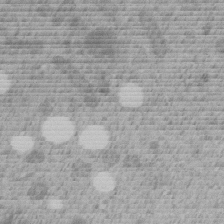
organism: C. elegans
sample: C. elegans embryo early stage